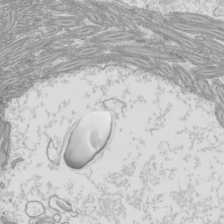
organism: Mouse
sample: Cilia; mouse epididymis